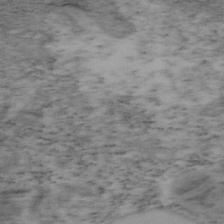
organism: Mouse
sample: OT-I killer T cells with ID8 ovarian cancer cells